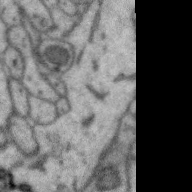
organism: Zebra finch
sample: Brain